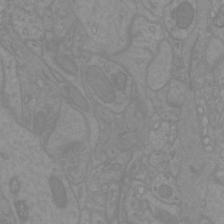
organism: Mouse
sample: Cortical neurons